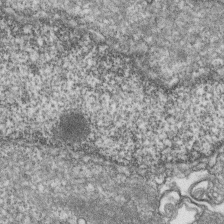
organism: Zebrafish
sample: Cilia; retinal pigment epithelium